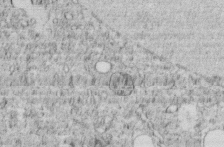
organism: C. elegans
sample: C. elegans embryo early stage